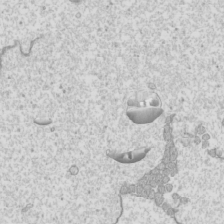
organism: Mouse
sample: Cilia; mouse epididymis